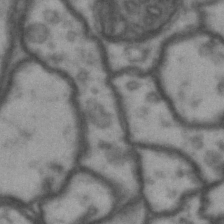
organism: Drosophila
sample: Brain